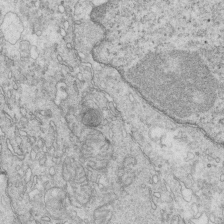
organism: Mouse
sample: Multiciliated cells